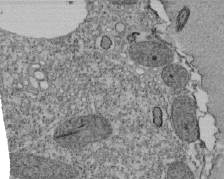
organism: Tetrahymena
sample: Cilia in tetrahymena